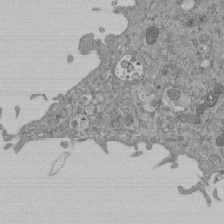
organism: Mouse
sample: ED-1 cell nuclei; centrioles